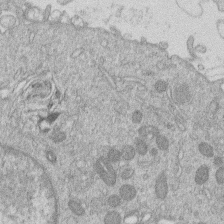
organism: Human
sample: Macrophage cells